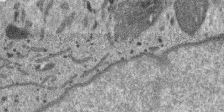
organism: Human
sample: Lung epithelial cells infected with SARS-CoV-2